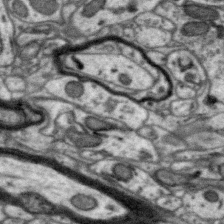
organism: Zebra finch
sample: Brain